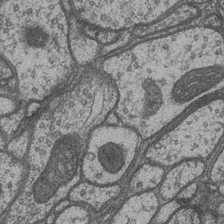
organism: Drosophila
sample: Optic medulla